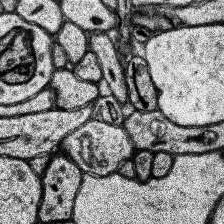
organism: Human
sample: Temporal Lobe